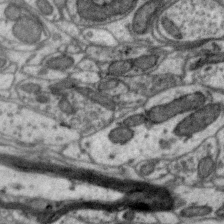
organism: Zebra finch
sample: Brain